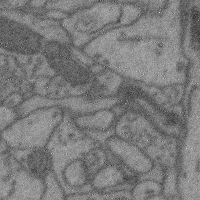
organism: Mouse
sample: Cerebral cortex